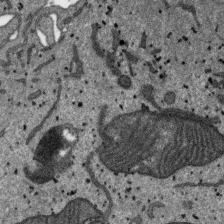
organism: Human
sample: Lung epithelial cells, uninfected (mock) control